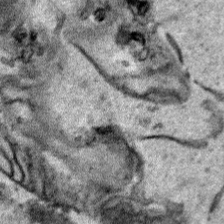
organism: Human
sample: Mitochondria in HCT116 cells